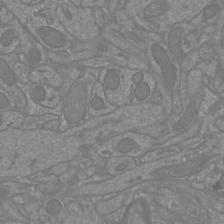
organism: Mouse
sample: Cortical neurons